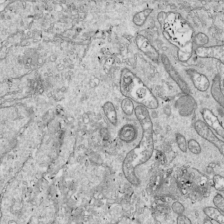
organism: Drosophila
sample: Cell division; meiosis; drosophila spermatocytes